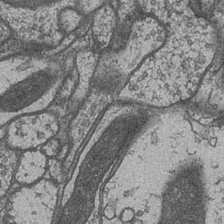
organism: Drosophila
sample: Optic medulla